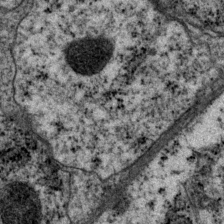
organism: P. pacificus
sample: Pharynx